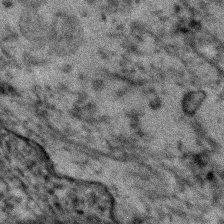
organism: Human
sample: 1205lu cells